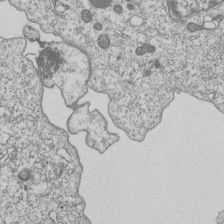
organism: Human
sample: MDA-MB-231 cells